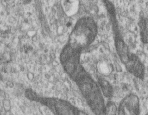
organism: Human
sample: Centriole in RPE cells